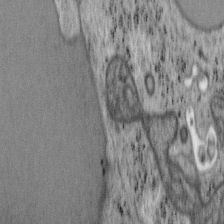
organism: Human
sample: HeLa cells